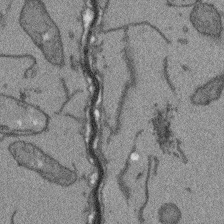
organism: Arabidopsis thaliana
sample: Root tip